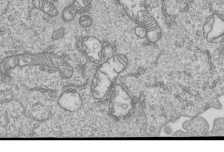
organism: Human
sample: MDA-MB-231 cells